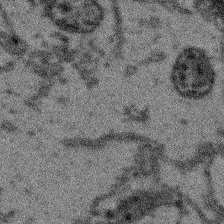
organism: Arabidopsis thaliana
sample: Root tip